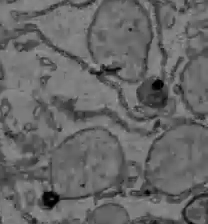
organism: C57BL Mouse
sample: Liver